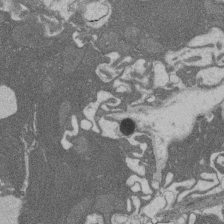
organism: Rat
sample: Salivary granule